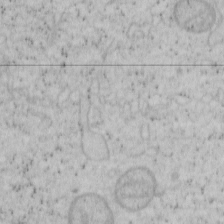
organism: Human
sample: HeLa cells